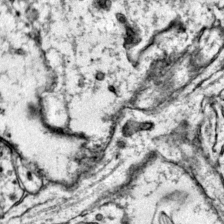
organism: Mouse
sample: Primary visual cortex